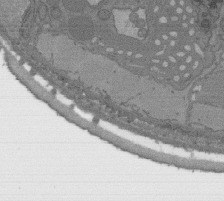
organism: C. elegans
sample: AFD neurons C. elegans